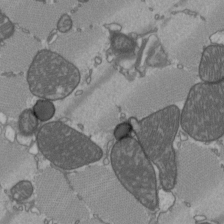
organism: C57BL Mouse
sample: Heart